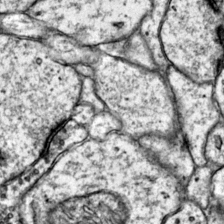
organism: Mouse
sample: Primary visual cortex